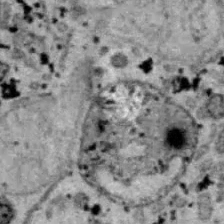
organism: Mouse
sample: Liver from an obese (ob/ob) mouse